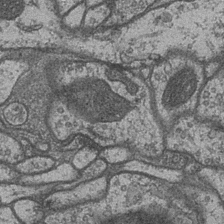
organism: Drosophila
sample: Optic medulla